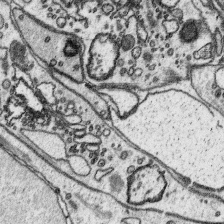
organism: Platynereis dumerilii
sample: Parapodia